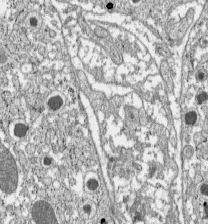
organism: C57BL Mouse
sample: Pancreatic islet